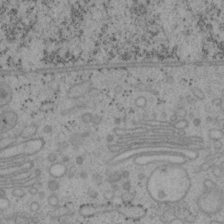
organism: Human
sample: HeLa cells